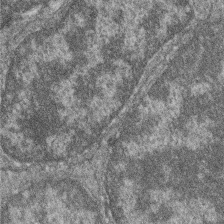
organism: Zebrafish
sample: Cilia; retinal pigment epithelium